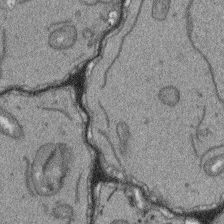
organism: Arabidopsis thaliana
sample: Root tip